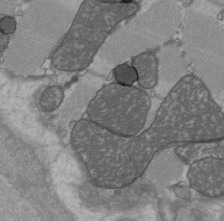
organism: C57BL Mouse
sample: Heart